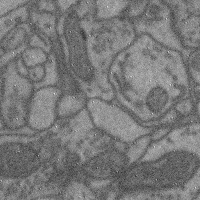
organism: Mouse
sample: Cerebral cortex